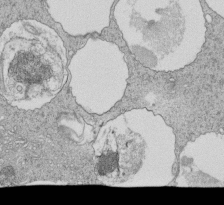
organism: Tetrahymena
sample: Cilia in tetrahymena